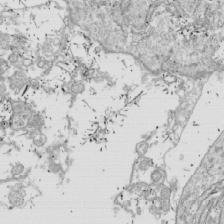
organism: Drosophila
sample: Cell division; meiosis; drosophila spermatocytes